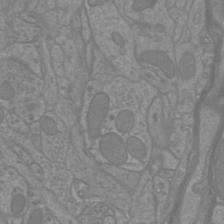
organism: Mouse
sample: Cortical neurons